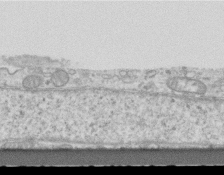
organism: Mouse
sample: Centriole in ependymal cells